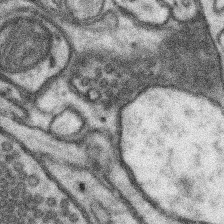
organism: Mouse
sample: Somatosensory cortex neuropil